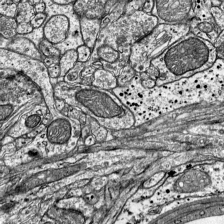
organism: Mouse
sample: Visual Cortex